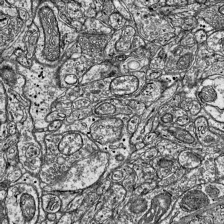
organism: Mouse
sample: Visual Cortex